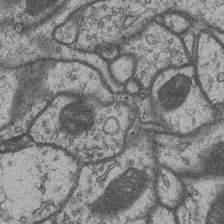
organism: Drosophila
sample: Optic medulla